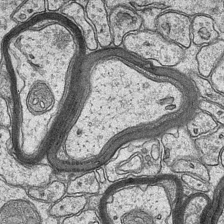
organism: Mouse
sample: CA1 Hippocampus